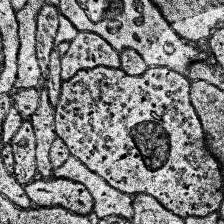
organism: Human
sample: Temporal Lobe